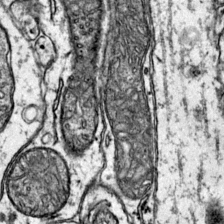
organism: Mouse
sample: Primary visual cortex